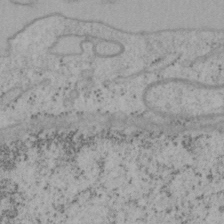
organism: Human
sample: HeLa cells